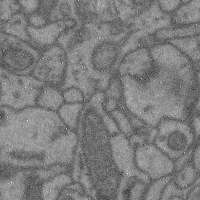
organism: Mouse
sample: Cerebral cortex